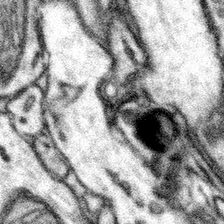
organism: Mouse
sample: Somatosensory cortex neuropil